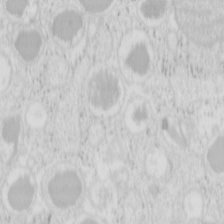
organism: Mouse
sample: Pancreas